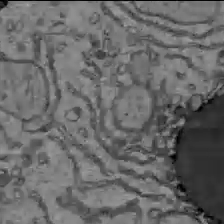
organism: C57BL Mouse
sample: Liver